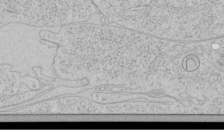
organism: Human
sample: Mitochondria in HCT116 cells